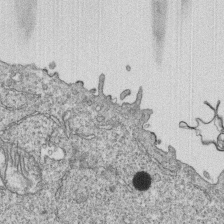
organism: Human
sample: HeLa cell HIV synapse